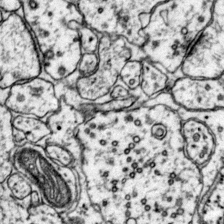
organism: Mouse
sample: Primary visual cortex